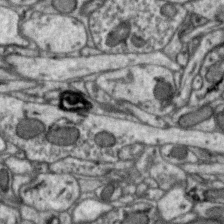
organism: Zebra finch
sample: Brain